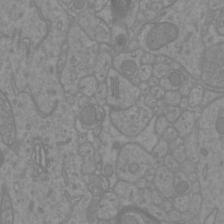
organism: Mouse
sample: Cortical neurons